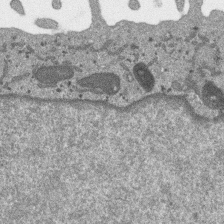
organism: Human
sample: Lung epithelial cells infected with SARS-CoV-2